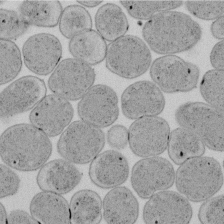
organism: E. coli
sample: Bacterial nucleoid